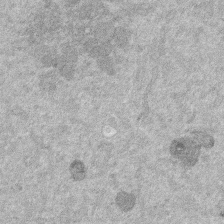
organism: Mouse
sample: Dividing mouse embryo 1 cell stage